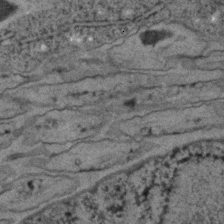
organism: C. elegans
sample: C. elegans embryo